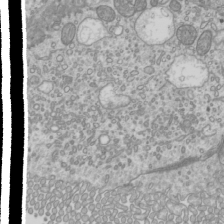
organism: Mouse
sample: Cilia; mouse epididymis